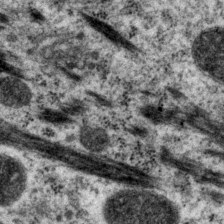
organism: P. pacificus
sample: Pharynx